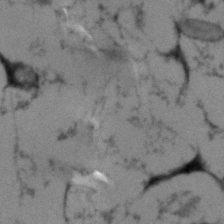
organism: Human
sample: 1205lu cells